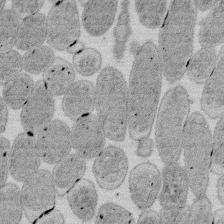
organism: E. coli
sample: Bacterial nucleoid